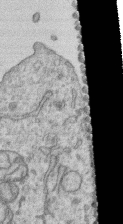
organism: Human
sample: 1205lu cells